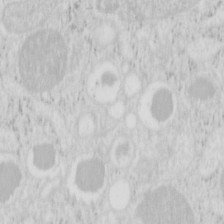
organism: Mouse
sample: Pancreas